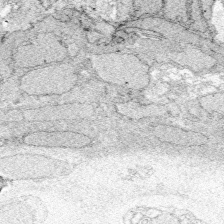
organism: Zebrafish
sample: Whole-Brain